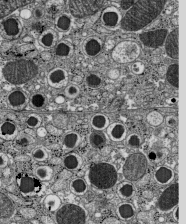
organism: C57BL Mouse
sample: Pancreatic islet